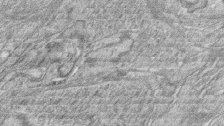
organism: Zebrafish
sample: synaptic ribbons in rod cells and cone cells